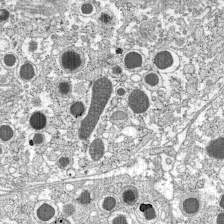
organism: C57BL Mouse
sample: Pancreatic islet